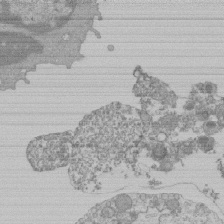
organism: Mouse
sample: Activated Pmel transgenic CD8+ T Cells